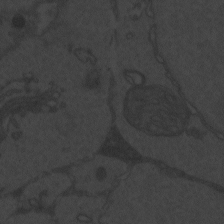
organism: Zebrafish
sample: Macrophage infected with Toxoplasma gondii